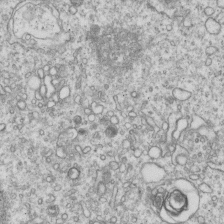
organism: Human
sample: MDA-MB-231 cells